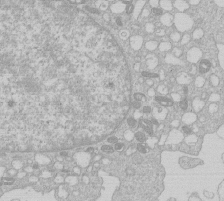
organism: Human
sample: Macrophage cells